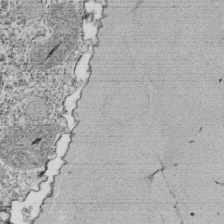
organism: Tetrahymena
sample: Cilia in tetrahymena